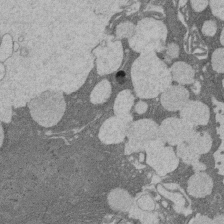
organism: Rat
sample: Salivary granule